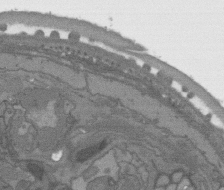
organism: C. elegans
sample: AFD neurons C. elegans